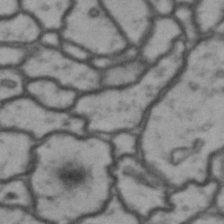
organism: Drosophila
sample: Brain